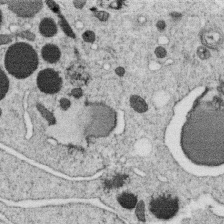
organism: C. elegans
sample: C. elegans oocyte; sperm cells